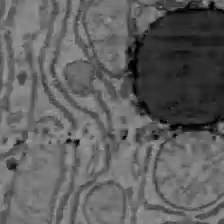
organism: C57BL Mouse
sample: Liver